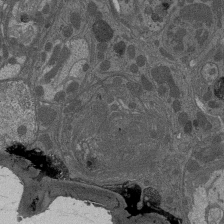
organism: Drosophila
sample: Antenna